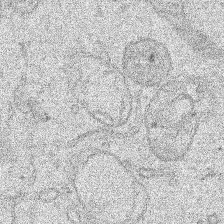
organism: Human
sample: Mitochondria in HCT116 cells